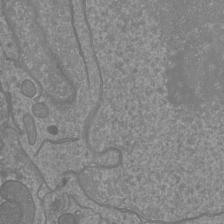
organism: Mouse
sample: Cortical neurons